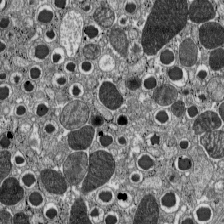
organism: C57BL Mouse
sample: Pancreatic islet